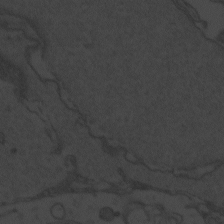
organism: Zebrafish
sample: Macrophage infected with Toxoplasma gondii